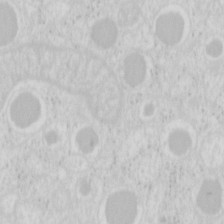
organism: Mouse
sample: Pancreas